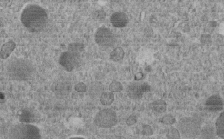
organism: C. elegans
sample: C. elegans embryo early stage